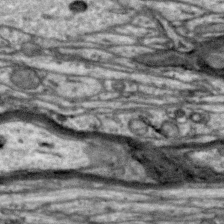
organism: Zebra finch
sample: Brain